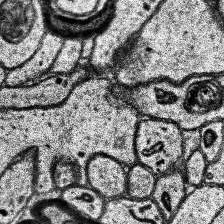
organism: Human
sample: Temporal Lobe